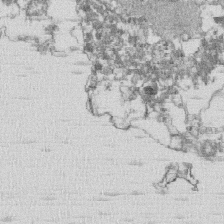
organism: Human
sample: HeLa cell HIV synapse